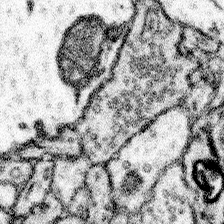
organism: Mouse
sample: Somatosensory cortex neuropil